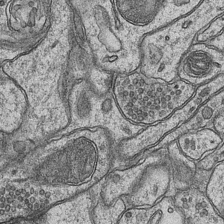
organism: Mouse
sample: CA1 Hippocampus